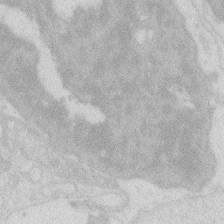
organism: Zebrafish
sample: Macrophage